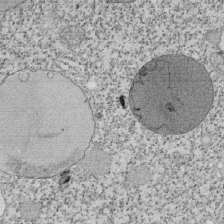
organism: Tetrahymena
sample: Cilia in tetrahymena